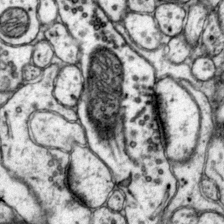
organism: Mouse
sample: Primary visual cortex